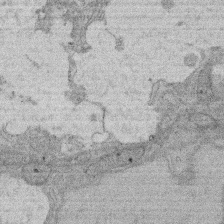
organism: Rat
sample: Salivary granule